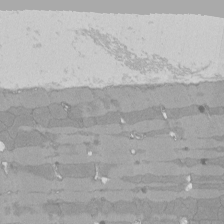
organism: Rat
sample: Left ventricle